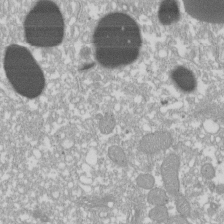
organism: Xenopus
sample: Cilia; centrioles in frog embryo cells